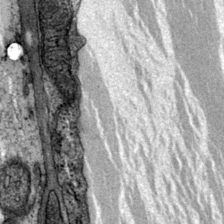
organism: Mouse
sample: Primary visual cortex